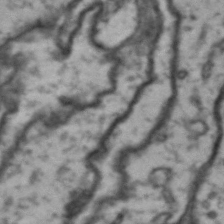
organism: Drosophila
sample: Brain